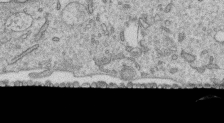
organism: Human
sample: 1205lu cells